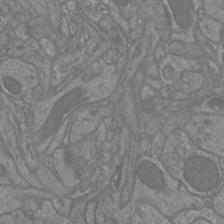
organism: Mouse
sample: Cortical neurons